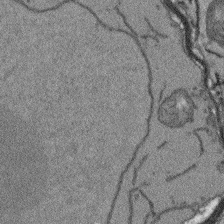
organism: Arabidopsis thaliana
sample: Root tip